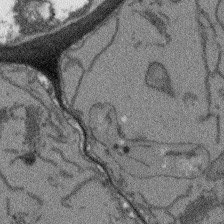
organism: Arabidopsis thaliana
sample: Root tip